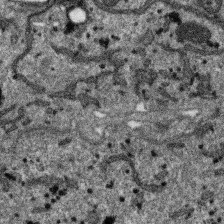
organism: Human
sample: Lung epithelial cells infected with SARS-CoV-2